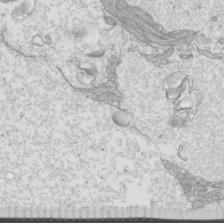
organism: Mouse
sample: Cilia; mouse epididymis